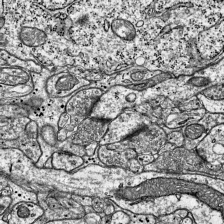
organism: Mouse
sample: Visual Cortex